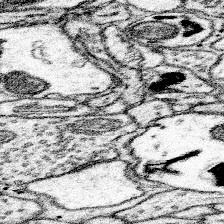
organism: Mouse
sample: Somatosensory cortex neuropil